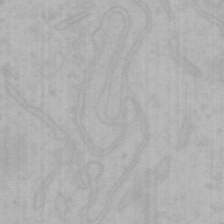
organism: Mouse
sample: Choroid plexus